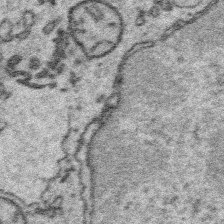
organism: Platynereis dumerilii